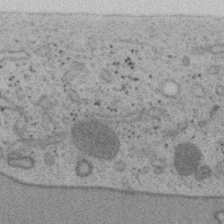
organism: Human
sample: HeLa cells